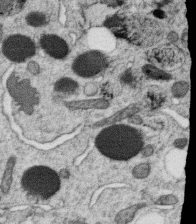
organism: C. elegans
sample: C. elegans oocyte; sperm cells